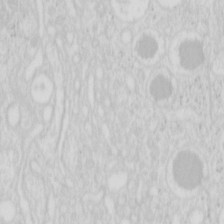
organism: Mouse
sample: Pancreas